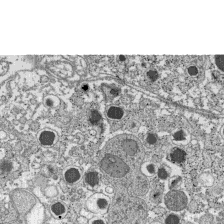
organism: C57BL Mouse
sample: Pancreatic islet